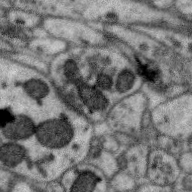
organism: Zebra finch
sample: Brain